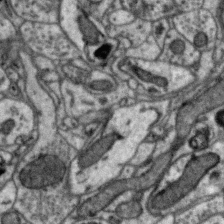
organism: Zebra finch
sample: Brain